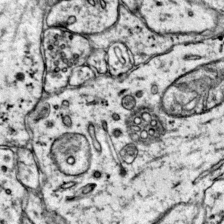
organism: Mouse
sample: Primary visual cortex